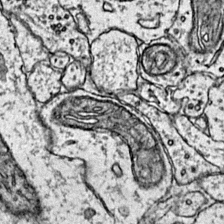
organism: Mouse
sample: Primary visual cortex